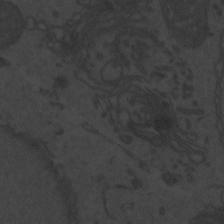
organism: Zebrafish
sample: Macrophage infected with Toxoplasma gondii